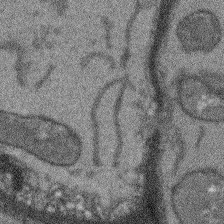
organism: Arabidopsis thaliana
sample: Root tip